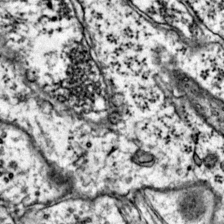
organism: Mouse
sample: Primary visual cortex